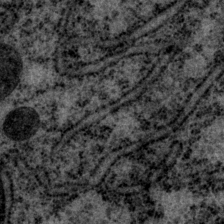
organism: P. pacificus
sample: Pharynx